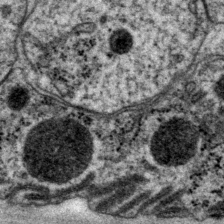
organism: P. pacificus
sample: Pharynx